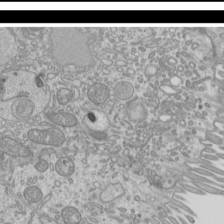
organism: Mouse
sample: Cilia; mouse epididymis